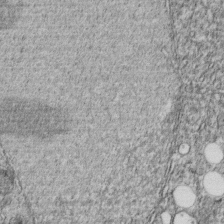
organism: C. elegans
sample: C. elegans embryo early stage